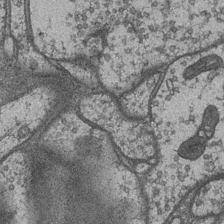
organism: Drosophila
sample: Optic medulla